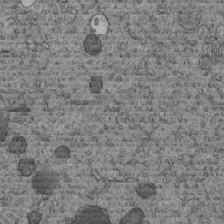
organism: C. elegans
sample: C. elegans embryo early stage